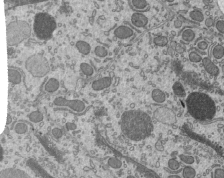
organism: Mouse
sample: Mouse epididymis efferent ductule cilia